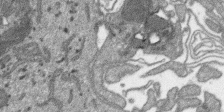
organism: Human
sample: Lung epithelial cells infected with SARS-CoV-2